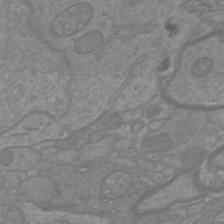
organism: Mouse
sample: Cortical neurons